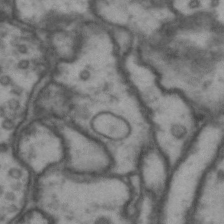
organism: Drosophila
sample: Brain